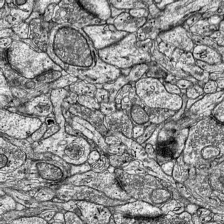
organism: Mouse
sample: Visual Cortex